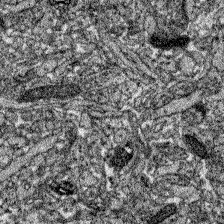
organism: Zebrafish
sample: Larval olfactory bulb